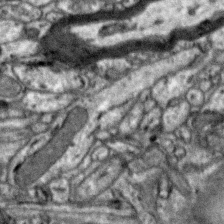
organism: Zebra finch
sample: Brain